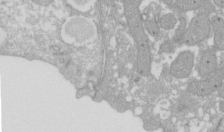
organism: Xenopus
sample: Cilia; centrioles in frog embryo cells